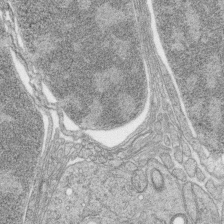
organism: Zebrafish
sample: synaptic ribbons in rod cells and cone cells